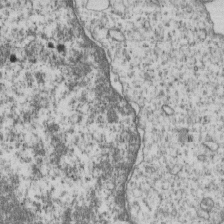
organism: Human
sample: MDA-MB-231 cells